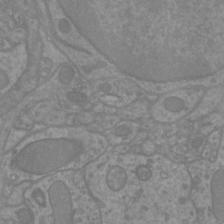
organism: Mouse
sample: Cortical neurons